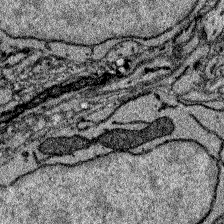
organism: Zebrafish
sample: Larval olfactory bulb